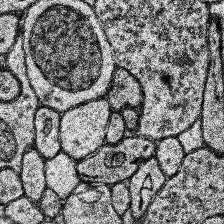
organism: Human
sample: Temporal Lobe